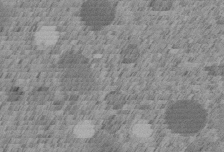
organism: C. elegans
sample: C. elegans embryo early stage